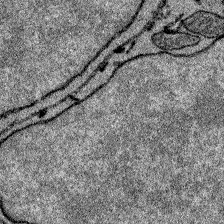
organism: Zebrafish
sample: Larval olfactory bulb